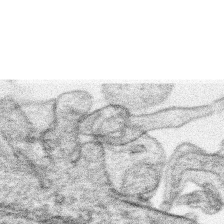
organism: Human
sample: HeLa cells